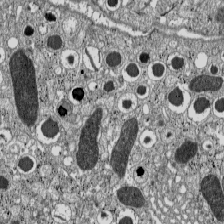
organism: C57BL Mouse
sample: Pancreatic islet